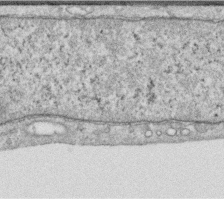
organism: Human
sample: Centriole in RPE cells